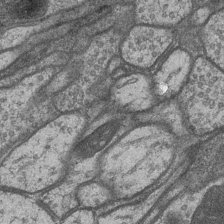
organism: Drosophila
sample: Optic medulla